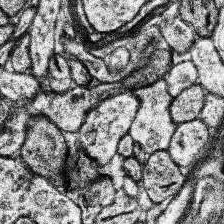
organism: Human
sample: Temporal Lobe